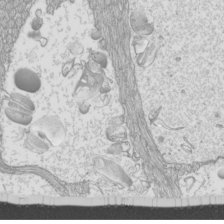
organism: Mouse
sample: Cilia; mouse epididymis